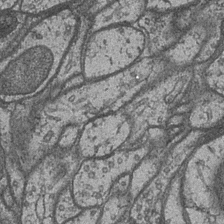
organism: Drosophila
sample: Optic medulla